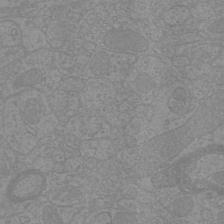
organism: Mouse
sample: Cortical neurons